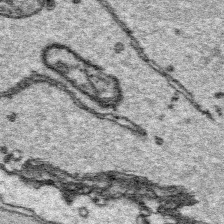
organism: Platynereis dumerilii